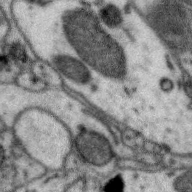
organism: Zebra finch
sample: Brain